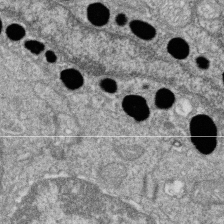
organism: Zebrafish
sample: Cilia; retinal pigment epithelium